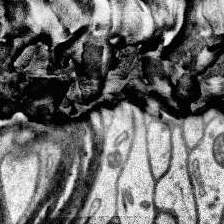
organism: Human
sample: Temporal Lobe